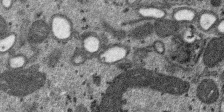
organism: Human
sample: Lung epithelial cells infected with SARS-CoV-2